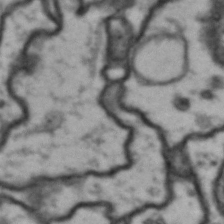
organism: Drosophila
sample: Brain